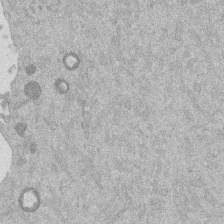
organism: Mouse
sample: Dividing mouse embryo 1 cell stage